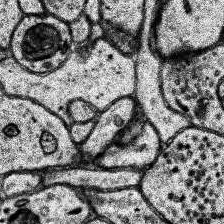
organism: Human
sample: Temporal Lobe